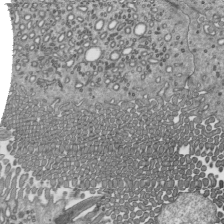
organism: Mouse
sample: Mouse epididymis efferent ductule cilia